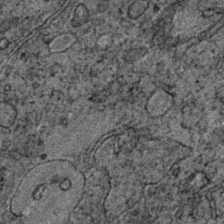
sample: Trachea